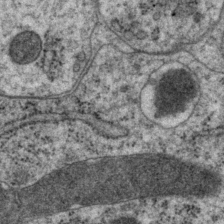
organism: P. pacificus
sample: Pharynx